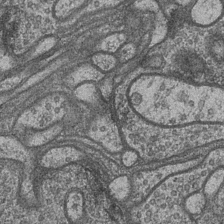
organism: Drosophila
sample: Optic medulla